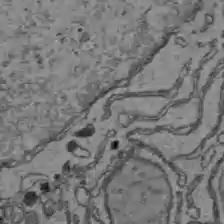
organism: C57BL Mouse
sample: Liver